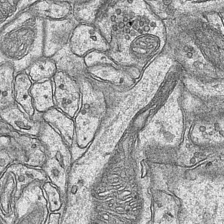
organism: Mouse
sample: CA1 Hippocampus